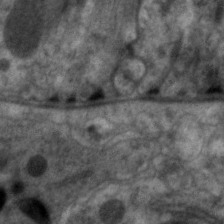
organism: C. elegans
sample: Pharynx